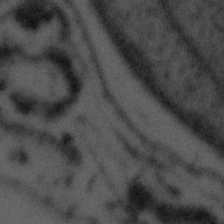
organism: Tuwongella immobilis